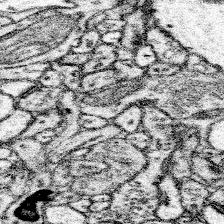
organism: Mouse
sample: Somatosensory cortex neuropil